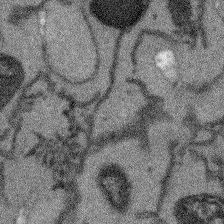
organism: Arabidopsis thaliana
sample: Root tip